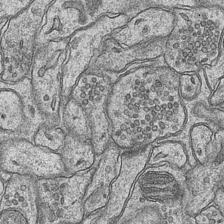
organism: Mouse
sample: CA1 Hippocampus